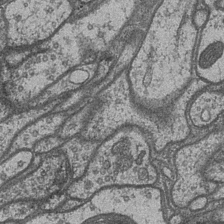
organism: Drosophila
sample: Optic medulla